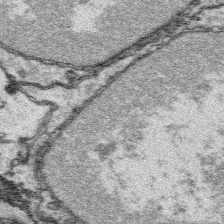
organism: Platynereis dumerilii